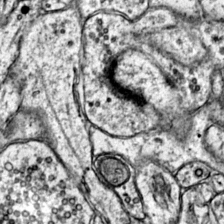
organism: Mouse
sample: Primary visual cortex